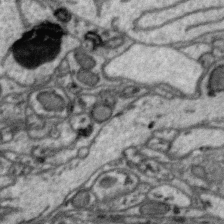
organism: Zebra finch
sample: Brain